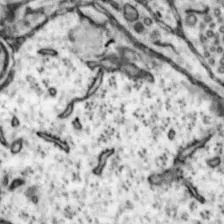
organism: Mouse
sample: Nucleus accumbens